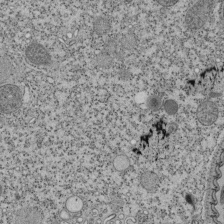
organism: Tetrahymena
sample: Cilia in tetrahymena